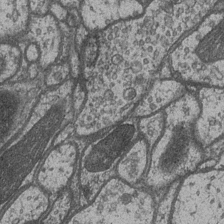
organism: Drosophila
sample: Optic medulla